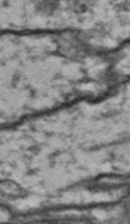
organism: Drosophila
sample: Brain